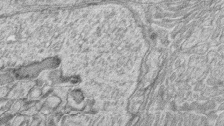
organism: Zebrafish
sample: synaptic ribbons in rod cells and cone cells